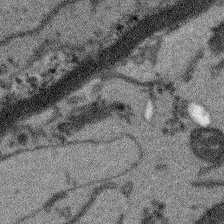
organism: Arabidopsis thaliana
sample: Root tip